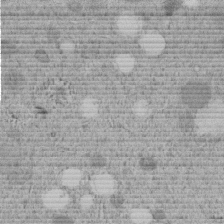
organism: C. elegans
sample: C. elegans embryo early stage